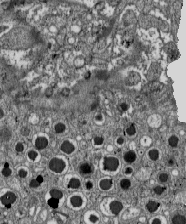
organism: C57BL Mouse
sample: Pancreatic islet